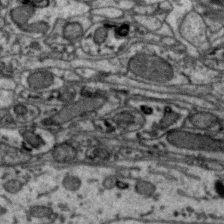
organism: Zebra finch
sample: Brain